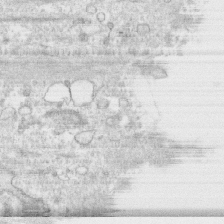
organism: Human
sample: CRL-1474